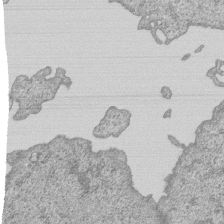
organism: Human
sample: MDA-MB-231 cells